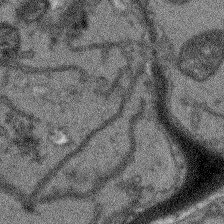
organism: Arabidopsis thaliana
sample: Root tip